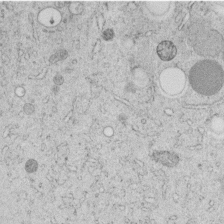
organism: C. elegans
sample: C. elegans embryo early stage